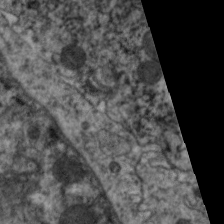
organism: C. elegans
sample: Pharynx